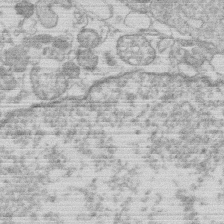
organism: Human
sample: Macrophage cells